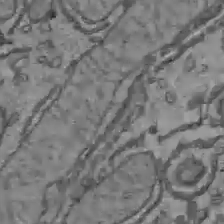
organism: C57BL Mouse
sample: Liver